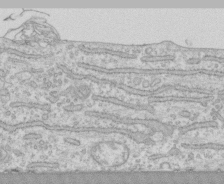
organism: Human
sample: CRL-1474